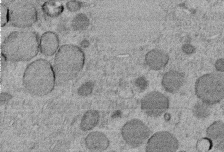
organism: C. elegans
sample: C. elegans embryo early stage